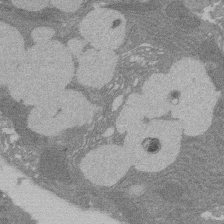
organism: Rat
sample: Salivary granule